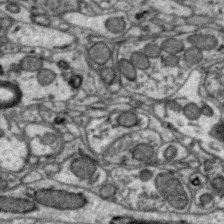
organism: Zebra finch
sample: Brain